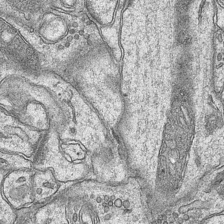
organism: Mouse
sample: CA1 Hippocampus